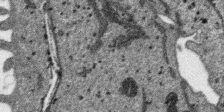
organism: Human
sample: Lung epithelial cells infected with SARS-CoV-2